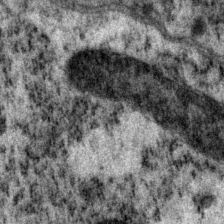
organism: P. pacificus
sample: Pharynx